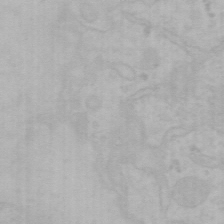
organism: Mouse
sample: Choroid plexus